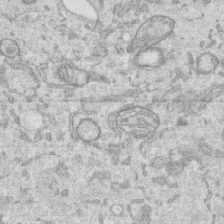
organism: Human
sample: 1205lu cells